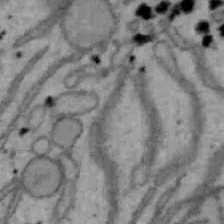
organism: Mouse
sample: Liver